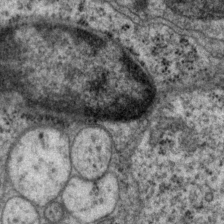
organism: P. pacificus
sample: Pharynx